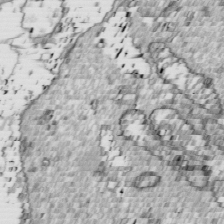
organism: Drosophila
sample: Cell division; meiosis; drosophila spermatocytes